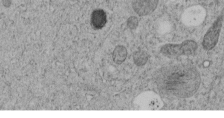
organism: C. elegans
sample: C. elegans embryo early stage